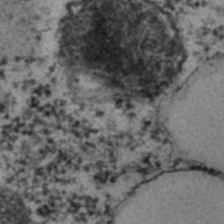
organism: C. elegans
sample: C. elegans embryo